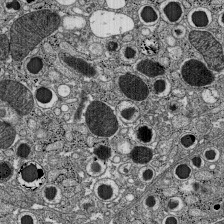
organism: C57BL Mouse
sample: Pancreatic islet